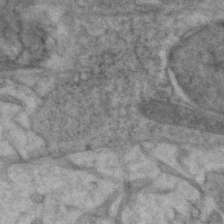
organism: Zebrafish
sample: Zebrafish embryo